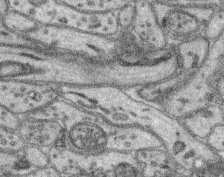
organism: Mouse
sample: Retina